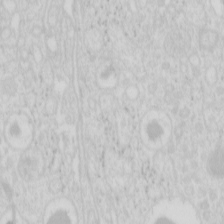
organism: Mouse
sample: Pancreas